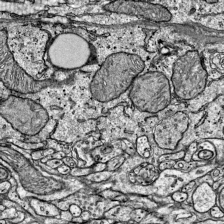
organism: Mouse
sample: Visual Cortex